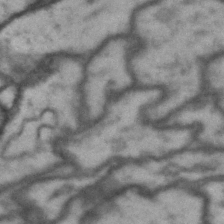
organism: Drosophila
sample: Brain